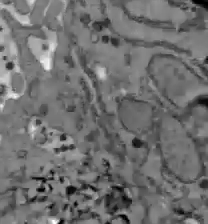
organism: C57BL Mouse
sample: Liver